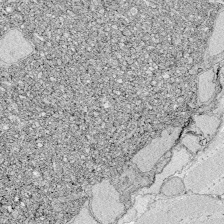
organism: Zebrafish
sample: Whole-Brain